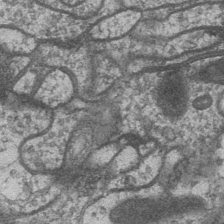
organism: Drosophila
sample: Optic medulla